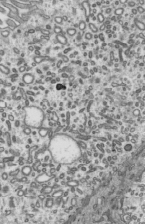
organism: Mouse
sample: Mouse epididymis efferent ductule cilia